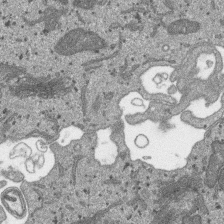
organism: Human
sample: Lung epithelial cells infected with SARS-CoV-2